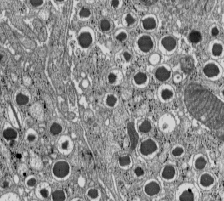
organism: C57BL Mouse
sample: Pancreatic islet